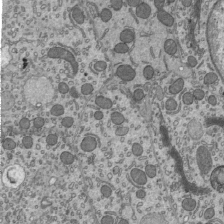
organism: Mouse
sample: Mouse epididymis efferent ductule cilia